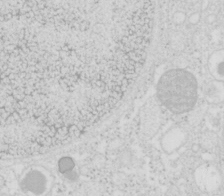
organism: Mouse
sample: Pancreas